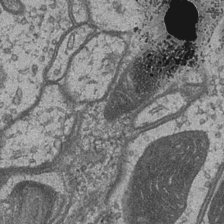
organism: Drosophila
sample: Optic medulla